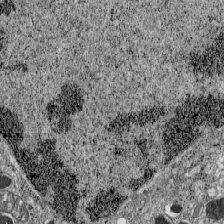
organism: C57BL Mouse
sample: Pancreatic islet